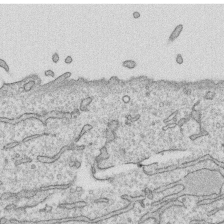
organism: Human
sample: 1205lu cells